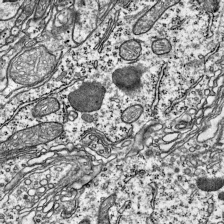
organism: Mouse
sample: Visual Cortex